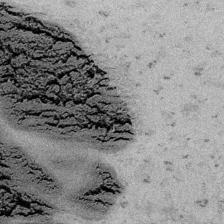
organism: Embia sp.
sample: Silk gland